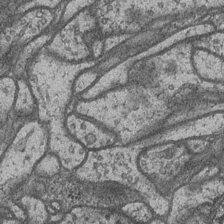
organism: Drosophila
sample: Optic medulla